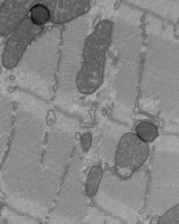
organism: C57BL Mouse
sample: Heart